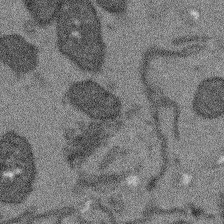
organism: Arabidopsis thaliana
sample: Root tip